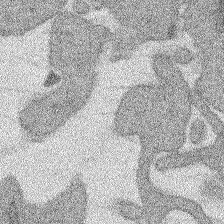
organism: Human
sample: HeLa cells